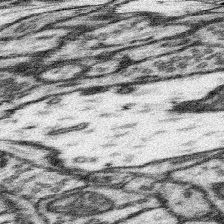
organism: Mouse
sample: Somatosensory cortex neuropil